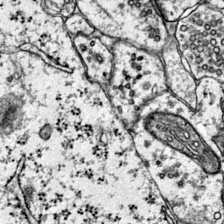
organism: Mouse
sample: Primary visual cortex